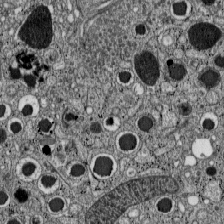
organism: C57BL Mouse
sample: Pancreatic islet